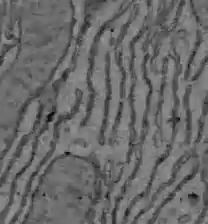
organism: C57BL Mouse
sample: Liver